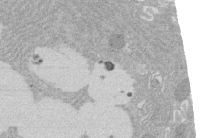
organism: Rat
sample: Salivary granule